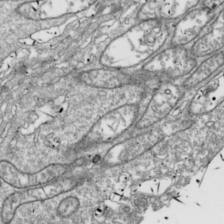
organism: Drosophila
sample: Cell division; meiosis; drosophila spermatocytes